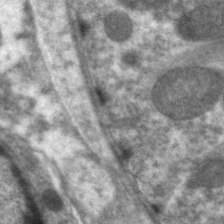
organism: C. elegans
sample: Pharynx